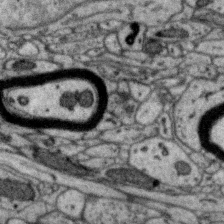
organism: Zebra finch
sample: Brain